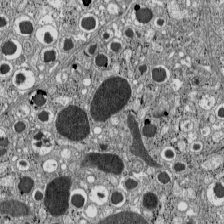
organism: C57BL Mouse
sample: Pancreatic islet